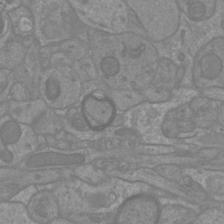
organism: Mouse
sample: Cortical neurons